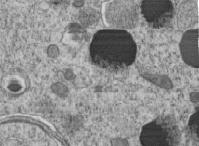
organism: C. elegans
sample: C. elegans embryo early stage